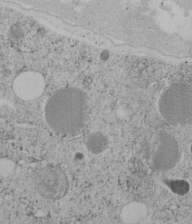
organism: C. elegans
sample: C. elegans embryo early stage